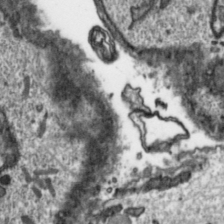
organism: Toxoplasma gondii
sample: Parasites in a vacuole inside a host cell